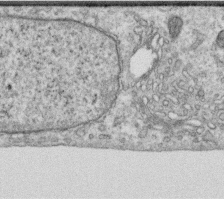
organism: Human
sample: Centriole in RPE cells